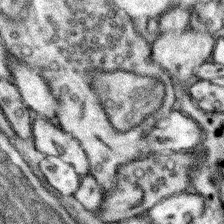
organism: Mouse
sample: Somatosensory cortex neuropil